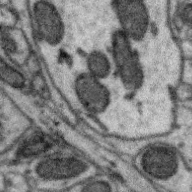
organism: Zebra finch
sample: Brain